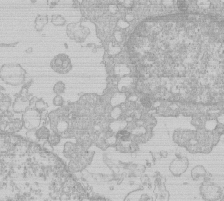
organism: Human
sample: Macrophage cells